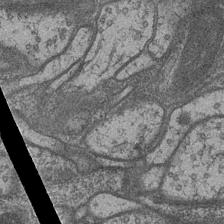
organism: Drosophila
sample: Optic medulla